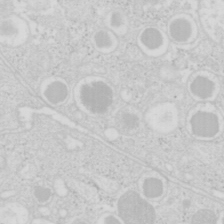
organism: Mouse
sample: Pancreas